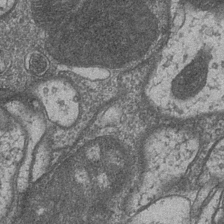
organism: Drosophila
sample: Optic medulla